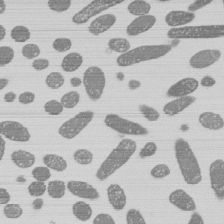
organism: E. coli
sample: Bacterial nucleoid